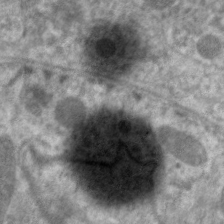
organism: C. elegans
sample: Pharynx